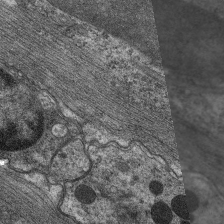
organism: C. elegans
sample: Pharynx